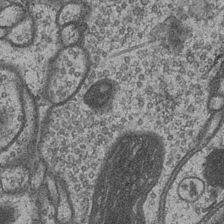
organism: Drosophila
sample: Optic medulla